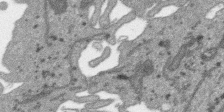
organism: Human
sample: Lung epithelial cells infected with SARS-CoV-2